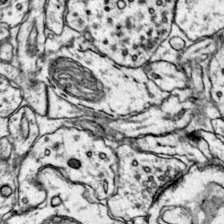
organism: Mouse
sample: Primary visual cortex